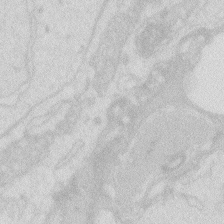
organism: Zebrafish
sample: Macrophage